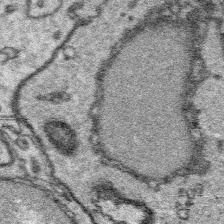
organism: Platynereis dumerilii